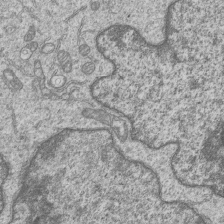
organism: Human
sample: MDA-MB-231 cells